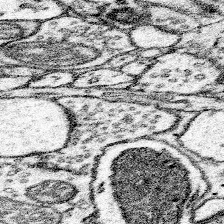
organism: Mouse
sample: Somatosensory cortex neuropil